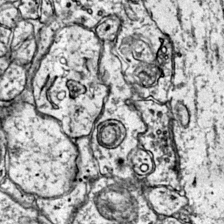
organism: Mouse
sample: Primary visual cortex